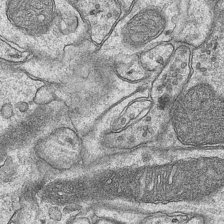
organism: Mouse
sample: CA1 Hippocampus